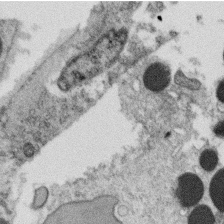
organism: C. elegans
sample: C. elegans oocyte; sperm cells